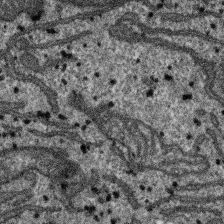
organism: Human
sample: Lung epithelial cells infected with SARS-CoV-2